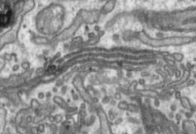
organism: Toxoplasma gondii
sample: Parasites in a vacuole inside a host cell